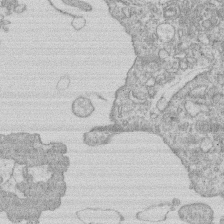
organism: Human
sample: Macrophage cells